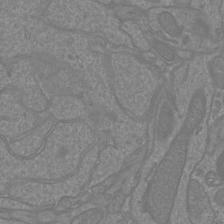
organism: Mouse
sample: Cortical neurons